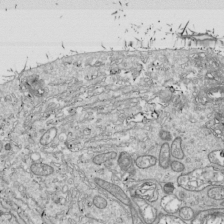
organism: Drosophila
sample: Cell division; meiosis; drosophila spermatocytes